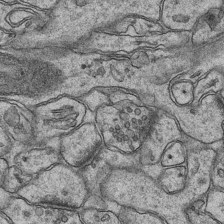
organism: Mouse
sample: CA1 Hippocampus